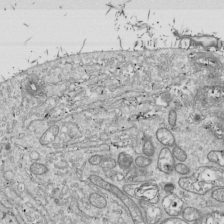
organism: Drosophila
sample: Cell division; meiosis; drosophila spermatocytes